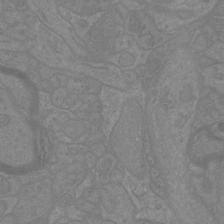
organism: Mouse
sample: Cortical neurons